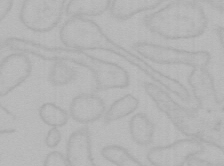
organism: Mouse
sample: Choroid plexus